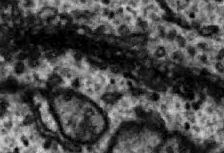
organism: Human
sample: HeLa cells